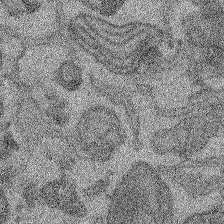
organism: Human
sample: HeLa cells